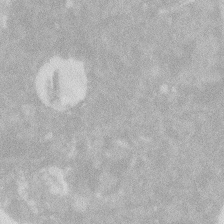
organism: Zebrafish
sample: Macrophage